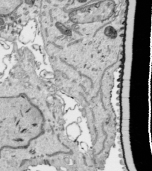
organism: Human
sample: Mitochondria in HCT116 cells